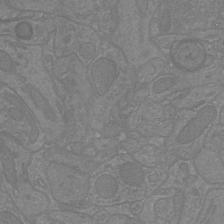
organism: Mouse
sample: Cortical neurons